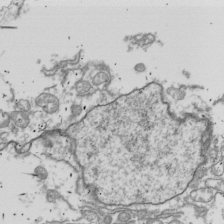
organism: Drosophila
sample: Cell division; meiosis; drosophila spermatocytes